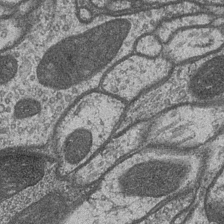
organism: Drosophila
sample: Optic medulla